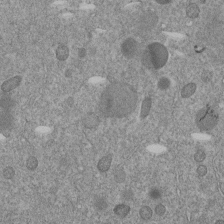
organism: C. elegans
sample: C. elegans embryo early stage